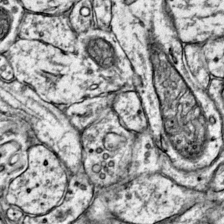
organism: Mouse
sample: Primary visual cortex